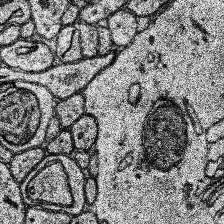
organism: Human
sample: Temporal Lobe